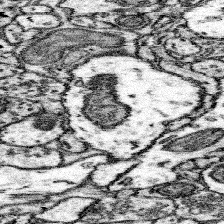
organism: Mouse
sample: Somatosensory cortex neuropil